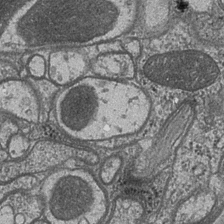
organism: Drosophila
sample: Optic medulla